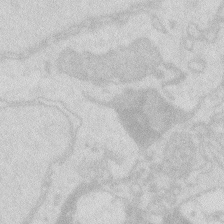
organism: Zebrafish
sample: Macrophage